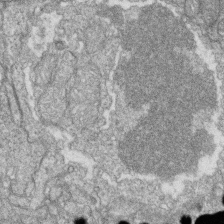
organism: Zebrafish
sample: Cilia; retinal pigment epithelium